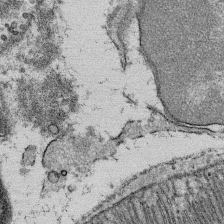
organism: Mouse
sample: Mouse Salivary gland